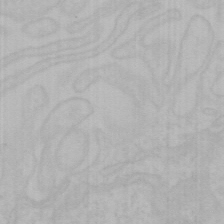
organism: Mouse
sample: Choroid plexus